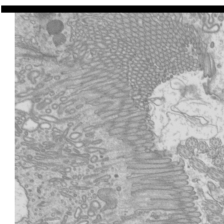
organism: Mouse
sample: Cilia; mouse epididymis